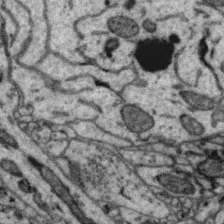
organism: Zebra finch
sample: Brain